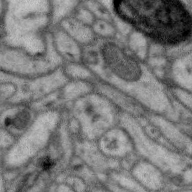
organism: Zebra finch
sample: Brain